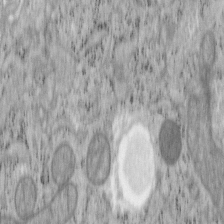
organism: Human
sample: HeLa cells